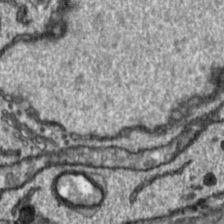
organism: Toxoplasma gondii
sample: Parasites in a vacuole inside a host cell